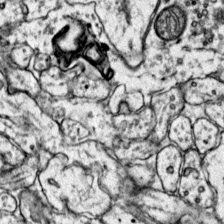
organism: Mouse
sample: Primary visual cortex